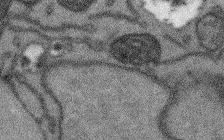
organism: Arabidopsis thaliana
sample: Root tip